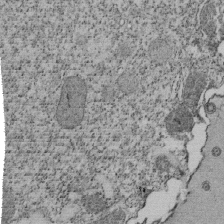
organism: Tetrahymena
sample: Cilia in tetrahymena